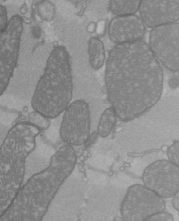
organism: C57BL Mouse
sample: Heart